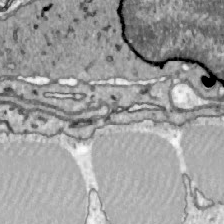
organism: Zebrafish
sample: Actinotrichia fibers